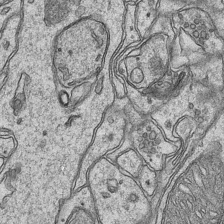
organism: Mouse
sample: CA1 Hippocampus